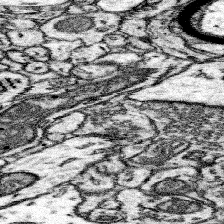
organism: Mouse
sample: Somatosensory cortex neuropil